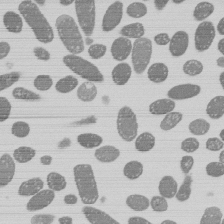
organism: E. coli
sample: Bacterial nucleoid